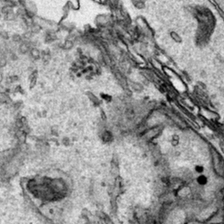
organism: Human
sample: Mitochondria in HCT116 cells